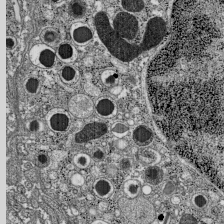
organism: C57BL Mouse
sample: Pancreatic islet